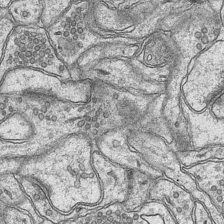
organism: Mouse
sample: CA1 Hippocampus